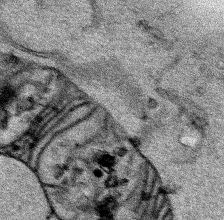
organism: Human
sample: Mitochondria in HCT116 cells